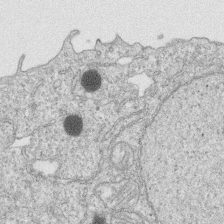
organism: Human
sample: HeLa cell HIV synapse